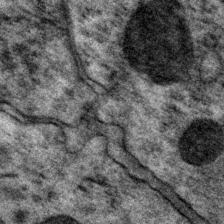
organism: P. pacificus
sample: Pharynx